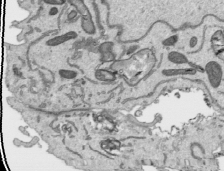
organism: Human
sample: Mitochondria in HCT116 cells